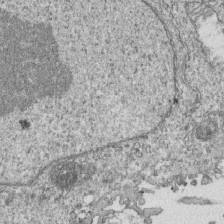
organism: Human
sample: HeLa cell HIV synapse